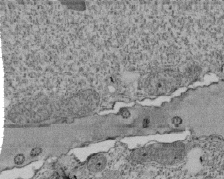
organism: Tetrahymena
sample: Cilia in tetrahymena